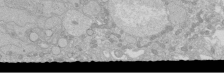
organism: Human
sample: Caco-2 cells